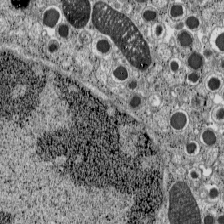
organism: C57BL Mouse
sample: Pancreatic islet